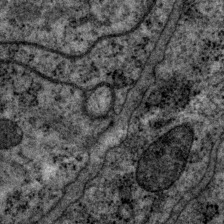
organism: P. pacificus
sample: Pharynx